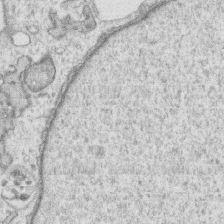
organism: Human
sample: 1205lu cells